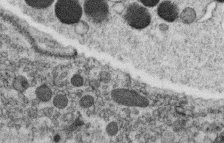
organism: C. elegans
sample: C. elegans oocyte; sperm cells